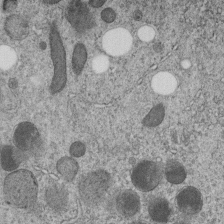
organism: C. elegans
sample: C. elegans embryo early stage